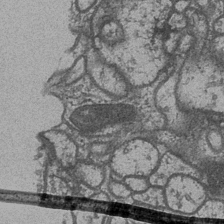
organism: Drosophila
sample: Optic medulla